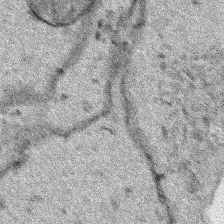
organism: Human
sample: Mitochondria in HCT116 cells